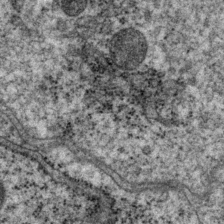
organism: P. pacificus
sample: Pharynx